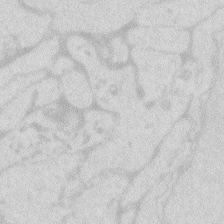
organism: Zebrafish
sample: Macrophage